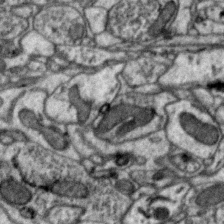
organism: Zebra finch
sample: Brain